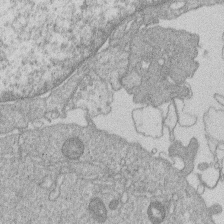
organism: Human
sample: Macrophage cells